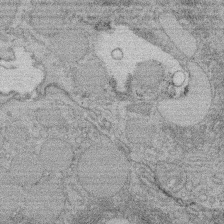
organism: Rat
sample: Salivary granule